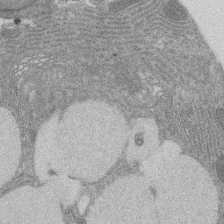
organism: Rat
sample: Salivary granule